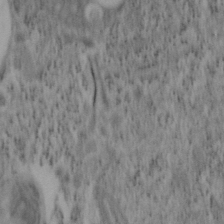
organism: Mouse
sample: OT-I killer T cells with ID8 ovarian cancer cells